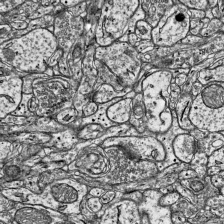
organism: Mouse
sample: Visual Cortex